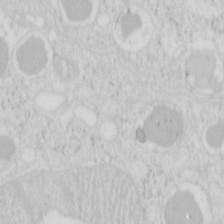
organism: Mouse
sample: Pancreas